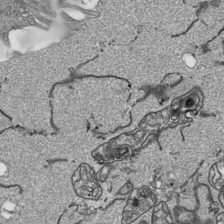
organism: Human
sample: Mitochondria in HCT116 cells